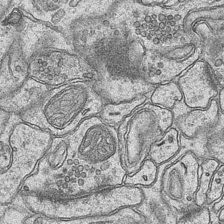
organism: Mouse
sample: CA1 Hippocampus